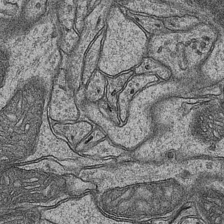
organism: Mouse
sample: CA1 Hippocampus